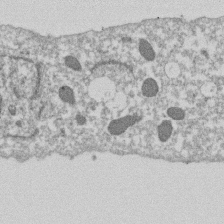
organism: Dictyostelium discoideum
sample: Dictyostelium multivesicular bodies